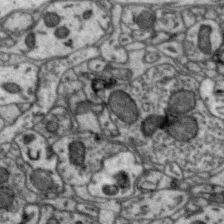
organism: Zebra finch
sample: Brain